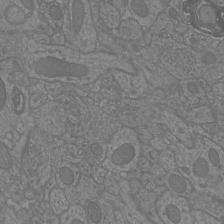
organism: Mouse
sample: Cortical neurons